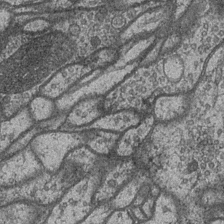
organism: Drosophila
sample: Optic medulla